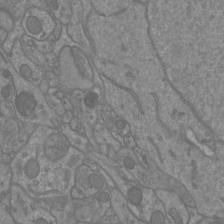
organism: Mouse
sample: Cortical neurons